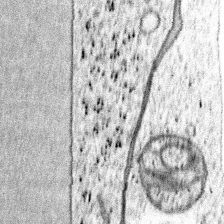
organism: Human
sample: HeLa cells